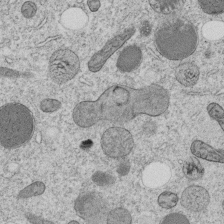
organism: C. elegans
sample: C. elegans embryo early stage